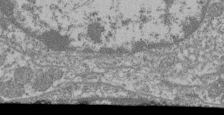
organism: Mouse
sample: Glomerulus